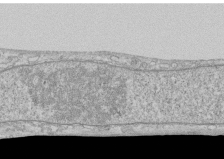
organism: Human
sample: CRL-1474